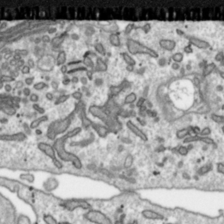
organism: Toxoplasma gondii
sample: Parasites in a vacuole inside a host cell